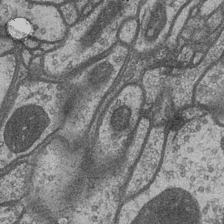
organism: Drosophila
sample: Optic medulla